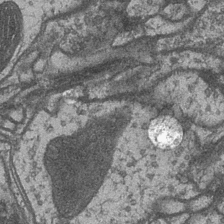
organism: Drosophila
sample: Optic medulla